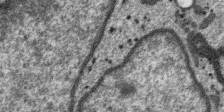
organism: Human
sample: Lung epithelial cells infected with SARS-CoV-2